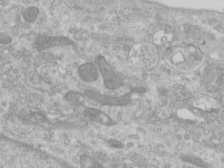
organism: Human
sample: Centriole in RPE cells